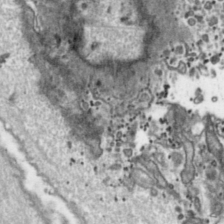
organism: Toxoplasma gondii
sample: Parasites in a vacuole inside a host cell